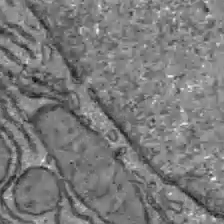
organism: C57BL Mouse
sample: Liver